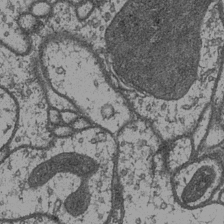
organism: Drosophila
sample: Optic medulla